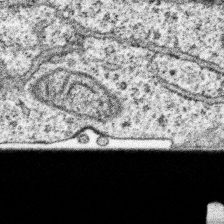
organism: Human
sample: HeLa cells